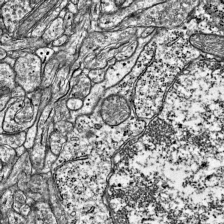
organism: Mouse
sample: Visual Cortex